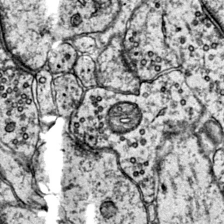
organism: Mouse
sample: Primary visual cortex